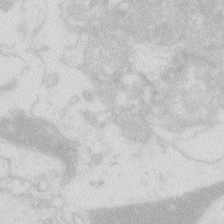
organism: Zebrafish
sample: Macrophage